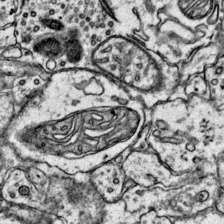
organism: Mouse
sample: Primary visual cortex